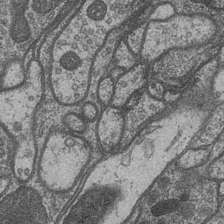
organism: Drosophila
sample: Optic medulla